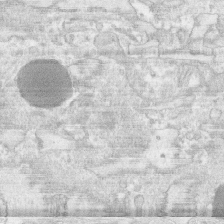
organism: Human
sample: CRL-1474